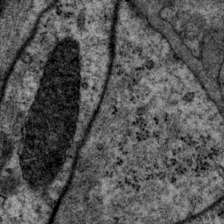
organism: P. pacificus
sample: Pharynx